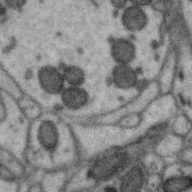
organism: Zebra finch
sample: Brain